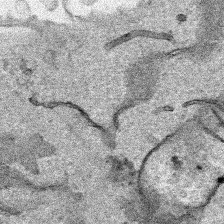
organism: Human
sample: Mitochondria in HCT116 cells